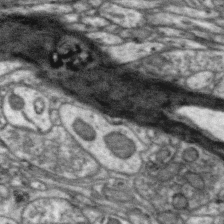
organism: Zebra finch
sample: Brain